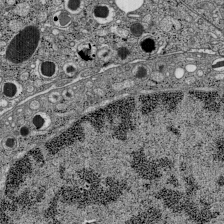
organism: C57BL Mouse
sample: Pancreatic islet